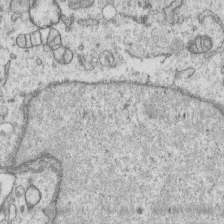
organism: Human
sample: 1205lu cells